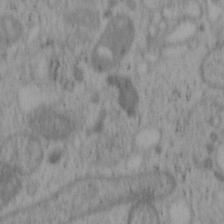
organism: Mouse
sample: OT-I killer T cells with ID8 ovarian cancer cells